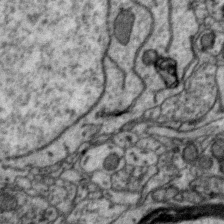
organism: Zebra finch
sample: Brain